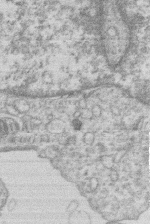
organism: Human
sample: Macrophage cells